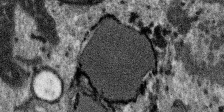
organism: Human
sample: Lung epithelial cells infected with SARS-CoV-2